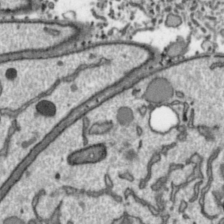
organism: Toxoplasma gondii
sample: Parasites in a vacuole inside a host cell